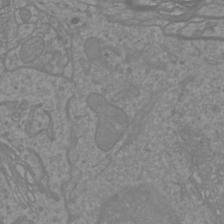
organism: Mouse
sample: Cortical neurons